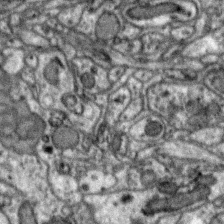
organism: Zebra finch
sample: Brain